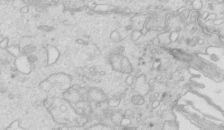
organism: Mouse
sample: Multiciliated cells